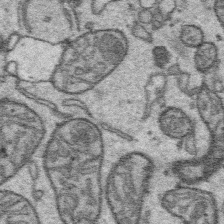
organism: Platynereis dumerilii